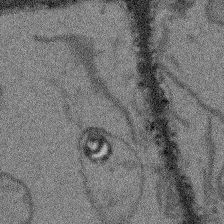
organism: Arabidopsis thaliana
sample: Root tip